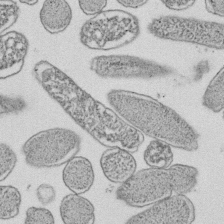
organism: E. coli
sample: Bacterial nucleoid